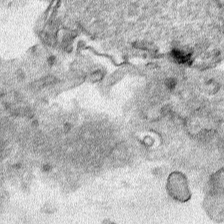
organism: Human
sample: Mitochondria in HCT116 cells